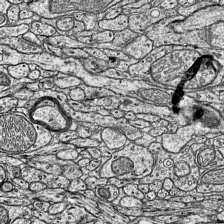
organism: Mouse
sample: Visual Cortex